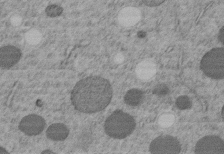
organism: C. elegans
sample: C. elegans embryo early stage